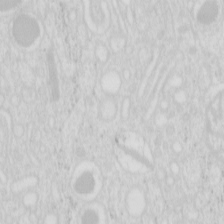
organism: Mouse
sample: Pancreas